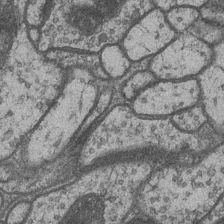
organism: Drosophila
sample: Optic medulla